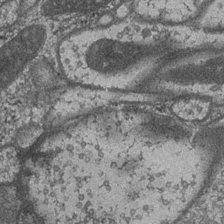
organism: Drosophila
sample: Optic medulla